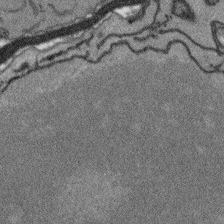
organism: Arabidopsis thaliana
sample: Root tip